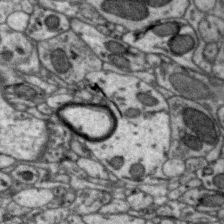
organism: Zebra finch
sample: Brain